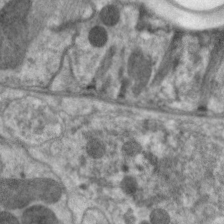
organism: C. elegans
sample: Pharynx